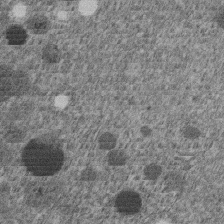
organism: C. elegans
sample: C. elegans embryo early stage